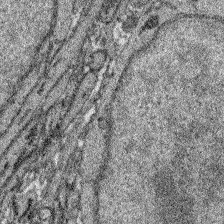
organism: Zebrafish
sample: Larval olfactory bulb